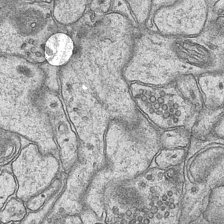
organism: Mouse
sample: CA1 Hippocampus